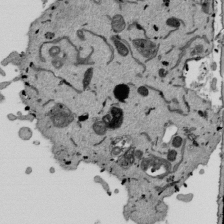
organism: Mouse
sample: ED-1 cell nuclei; centrioles